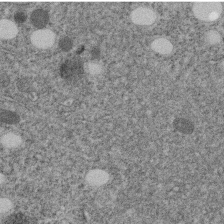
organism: C. elegans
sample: C. elegans embryo early stage